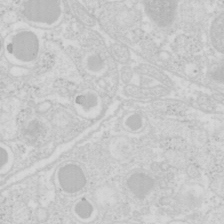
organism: Mouse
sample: Pancreas